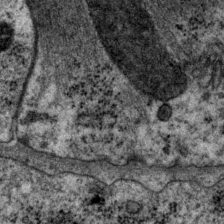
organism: P. pacificus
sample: Pharynx